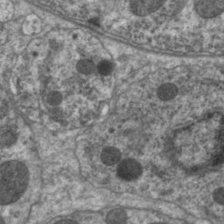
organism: C. elegans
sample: Pharynx